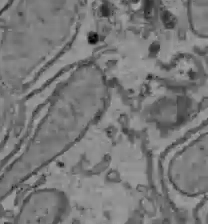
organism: C57BL Mouse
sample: Liver